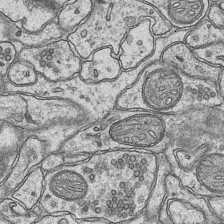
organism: Mouse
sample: CA1 Hippocampus